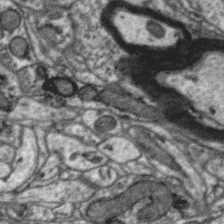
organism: Zebra finch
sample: Brain